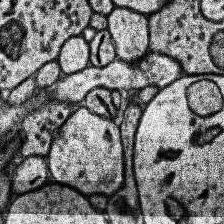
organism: Human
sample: Temporal Lobe